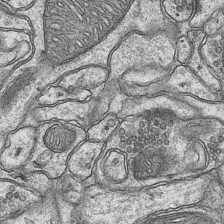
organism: Mouse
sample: CA1 Hippocampus